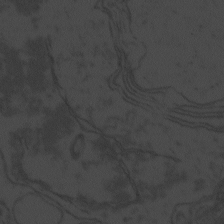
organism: Zebrafish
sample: Macrophage infected with Toxoplasma gondii